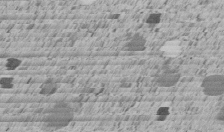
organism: C. elegans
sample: C. elegans embryo early stage